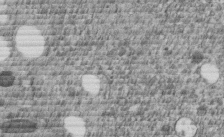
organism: C. elegans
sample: C. elegans embryo early stage